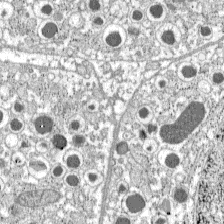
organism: C57BL Mouse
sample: Pancreatic islet